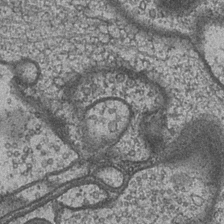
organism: Drosophila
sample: Optic medulla